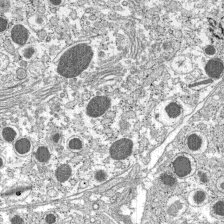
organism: C57BL Mouse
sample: Pancreatic islet